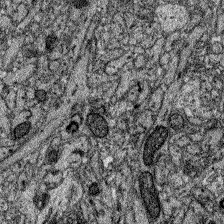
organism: Zebrafish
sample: Larval olfactory bulb